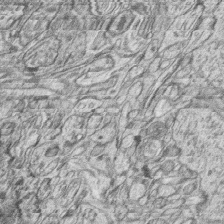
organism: Zebrafish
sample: synaptic ribbons in rod cells and cone cells